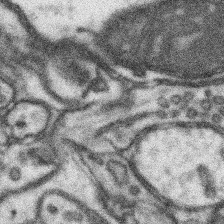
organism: Mouse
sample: Somatosensory cortex neuropil